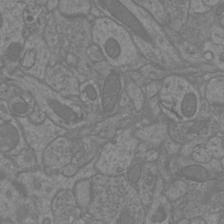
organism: Mouse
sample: Cortical neurons